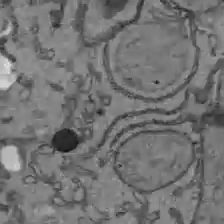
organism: C57BL Mouse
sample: Liver